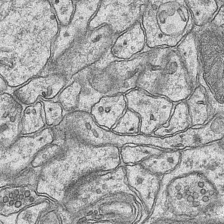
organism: Mouse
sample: CA1 Hippocampus